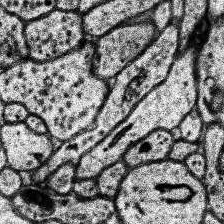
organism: Human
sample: Temporal Lobe